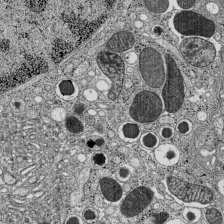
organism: C57BL Mouse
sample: Pancreatic islet